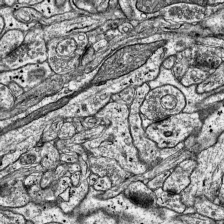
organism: Mouse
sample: Visual Cortex